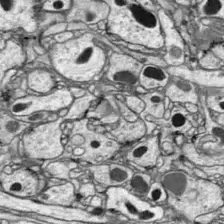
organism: Drosophila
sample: Optic lobe